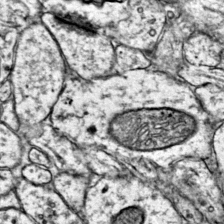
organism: Mouse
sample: Primary visual cortex